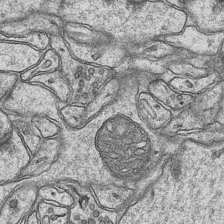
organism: Mouse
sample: CA1 Hippocampus